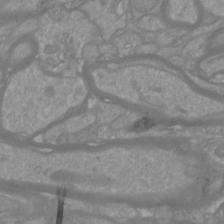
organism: Mouse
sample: Cortical neurons